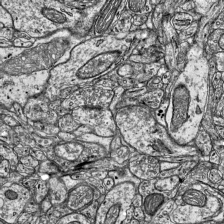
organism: Mouse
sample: Visual Cortex